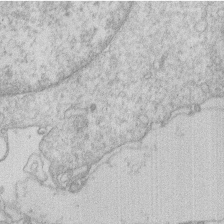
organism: Human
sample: Macrophage cells